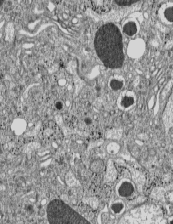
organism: C57BL Mouse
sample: Pancreatic islet